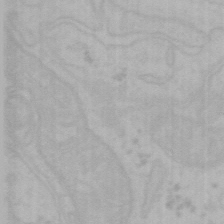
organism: Mouse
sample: Choroid plexus